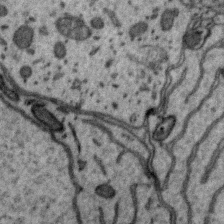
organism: Zebra finch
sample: Brain